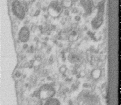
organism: Human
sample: Centriole in RPE cells